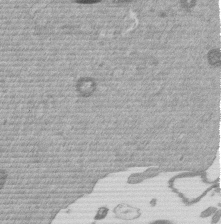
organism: Mouse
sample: Dividing mouse embryo 1 cell stage